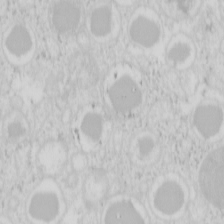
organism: Mouse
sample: Pancreas